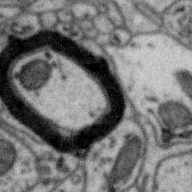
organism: Zebra finch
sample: Brain